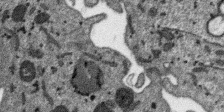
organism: Human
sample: Lung epithelial cells infected with SARS-CoV-2